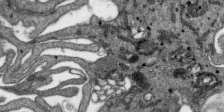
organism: Human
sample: Lung epithelial cells, uninfected (mock) control